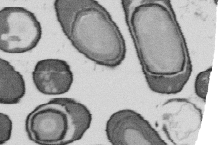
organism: B. subtilis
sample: Bacterial spore